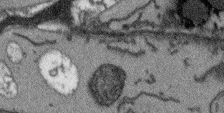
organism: Arabidopsis thaliana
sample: Root tip